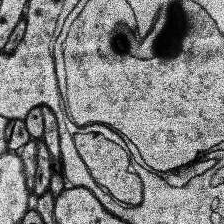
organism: Human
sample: Temporal Lobe